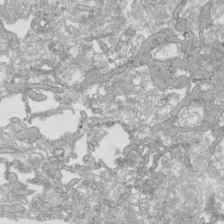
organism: Human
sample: Mitochondria in HCT116 cells